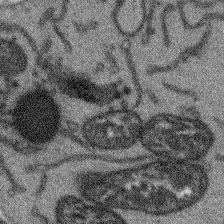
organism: Arabidopsis thaliana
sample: Root tip